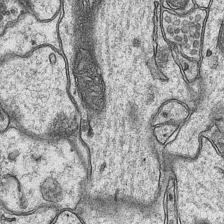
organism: Mouse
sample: CA1 Hippocampus